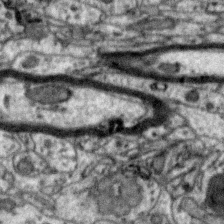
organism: Zebra finch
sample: Brain